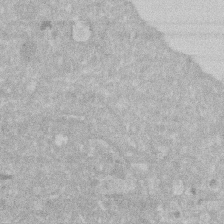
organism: Human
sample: HIV infected U937 cells